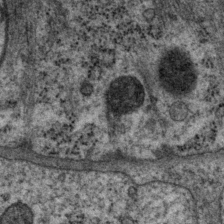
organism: P. pacificus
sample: Pharynx